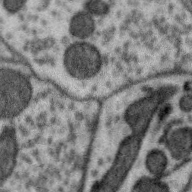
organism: Zebra finch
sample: Brain